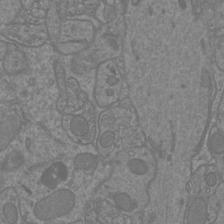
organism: Mouse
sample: Cortical neurons